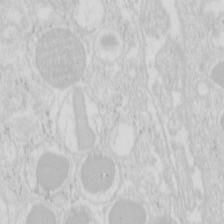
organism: Mouse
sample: Pancreas